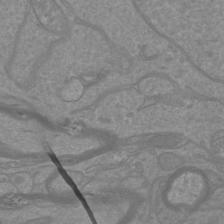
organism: Mouse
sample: Cortical neurons